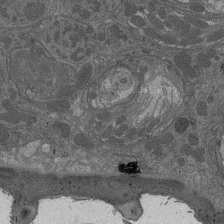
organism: Drosophila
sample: Antenna